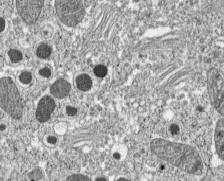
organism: C57BL Mouse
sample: Pancreatic islet